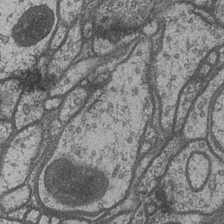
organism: Drosophila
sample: Optic medulla